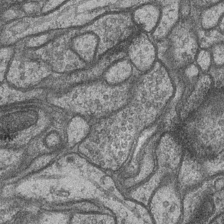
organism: Drosophila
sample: Optic medulla